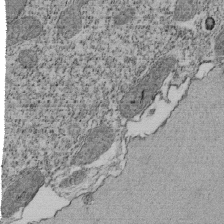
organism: Tetrahymena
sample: Cilia in tetrahymena